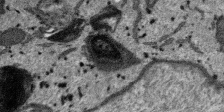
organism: Human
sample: Lung epithelial cells, uninfected (mock) control